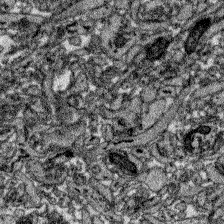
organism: Zebrafish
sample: Larval olfactory bulb